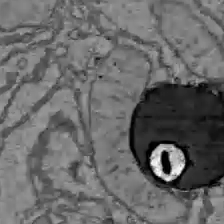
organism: C57BL Mouse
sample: Liver